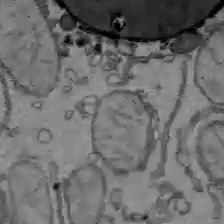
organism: C57BL Mouse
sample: Liver